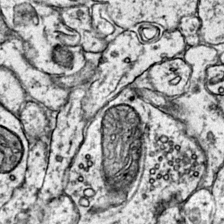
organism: Mouse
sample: Primary visual cortex